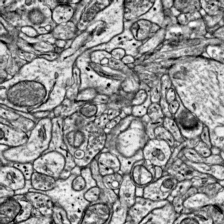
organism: Mouse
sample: Visual Cortex